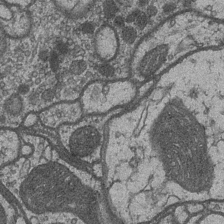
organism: Drosophila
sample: Optic medulla